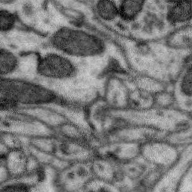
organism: Zebra finch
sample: Brain